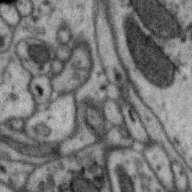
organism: Zebra finch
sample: Brain